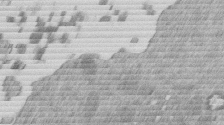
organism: Mouse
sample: Dividing mouse embryo 1 cell stage